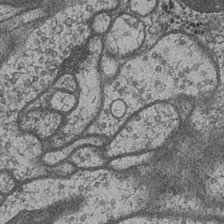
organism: Drosophila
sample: Optic medulla